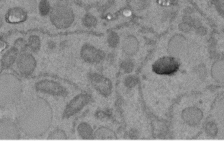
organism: C. elegans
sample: C. elegans embryo early stage